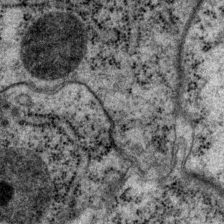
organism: P. pacificus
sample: Pharynx